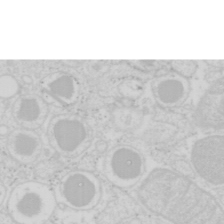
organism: Mouse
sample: Pancreas